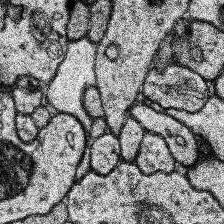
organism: Human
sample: Temporal Lobe